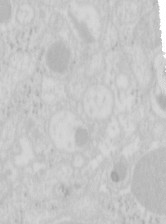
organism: Mouse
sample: Pancreas